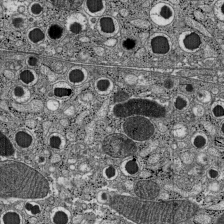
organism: C57BL Mouse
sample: Pancreatic islet